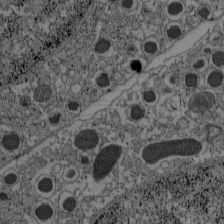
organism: C57BL Mouse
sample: Pancreatic islet